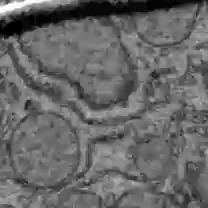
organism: C57BL Mouse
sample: Liver